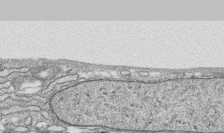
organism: Human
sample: CRL-1474